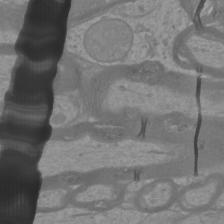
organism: Mouse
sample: Cortical neurons